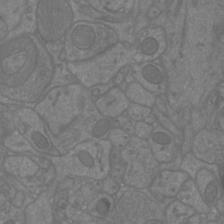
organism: Mouse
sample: Cortical neurons